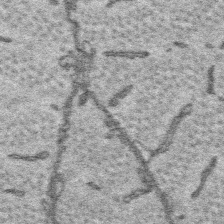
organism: Platynereis dumerilii